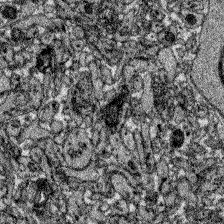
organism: Zebrafish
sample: Larval olfactory bulb